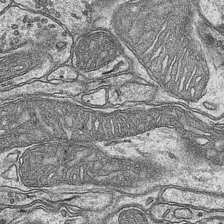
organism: Mouse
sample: CA1 Hippocampus